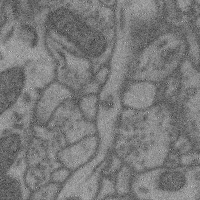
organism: Mouse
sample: Cerebral cortex